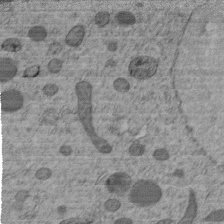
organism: C. elegans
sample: C. elegans embryo early stage